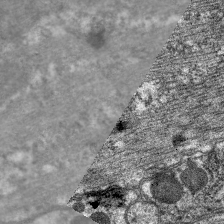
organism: C. elegans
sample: Pharynx